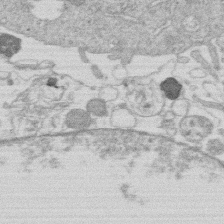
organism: Human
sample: Macrophage cells